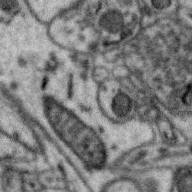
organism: Zebra finch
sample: Brain